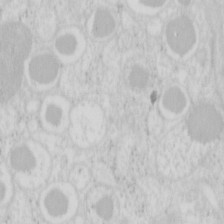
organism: Mouse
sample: Pancreas